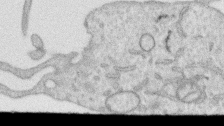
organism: Human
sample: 1205lu cells